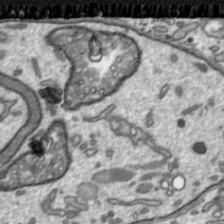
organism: Toxoplasma gondii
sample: Parasites in a vacuole inside a host cell